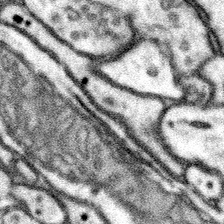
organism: Mouse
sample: Somatosensory cortex neuropil